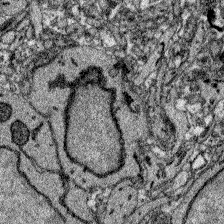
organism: Zebrafish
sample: Larval olfactory bulb